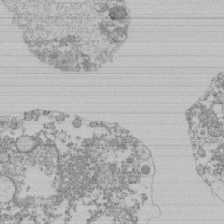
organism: Mouse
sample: Activated Pmel transgenic CD8+ T Cells